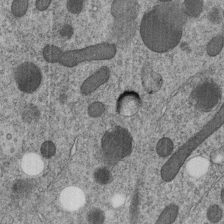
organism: C. elegans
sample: C. elegans embryo early stage